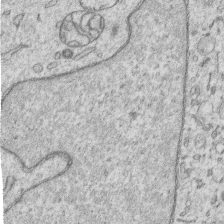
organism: Human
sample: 1205lu cells